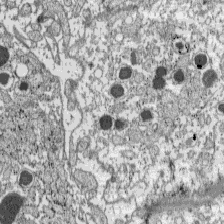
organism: C57BL Mouse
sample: Pancreatic islet